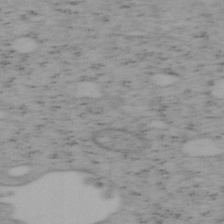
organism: Mouse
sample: OT-I killer T cells with ID8 ovarian cancer cells